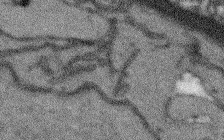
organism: Arabidopsis thaliana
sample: Root tip